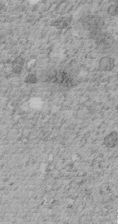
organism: C. elegans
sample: C. elegans embryo early stage